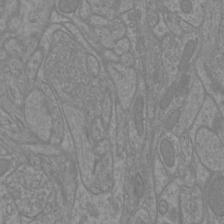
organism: Mouse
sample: Cortical neurons